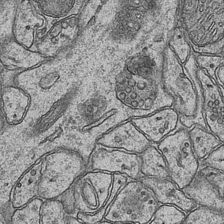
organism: Mouse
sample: CA1 Hippocampus